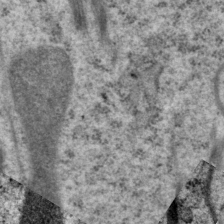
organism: P. pacificus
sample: Pharynx